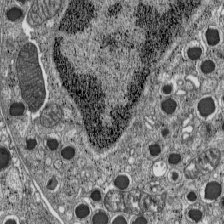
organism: C57BL Mouse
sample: Pancreatic islet